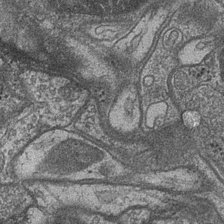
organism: Drosophila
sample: Optic medulla